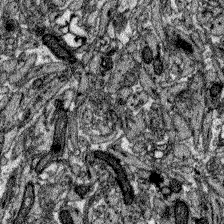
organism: Zebrafish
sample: Larval olfactory bulb